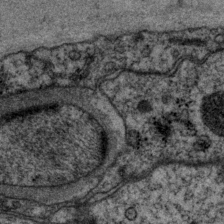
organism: P. pacificus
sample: Pharynx